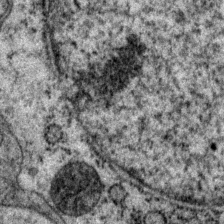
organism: P. pacificus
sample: Pharynx